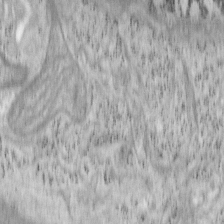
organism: Human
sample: HeLa cells